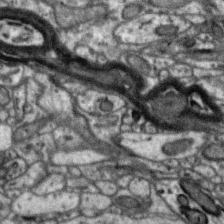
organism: Zebra finch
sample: Brain